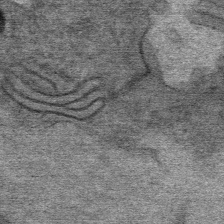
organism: Mouse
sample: Mouse Salivary gland